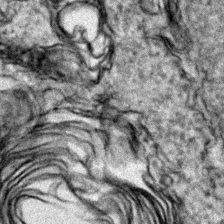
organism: Zebrafish